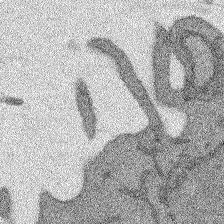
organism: Human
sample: HeLa cells